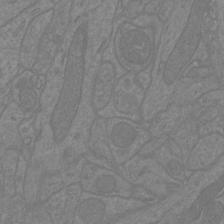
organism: Mouse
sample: Cortical neurons